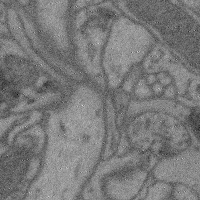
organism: Mouse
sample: Cerebral cortex